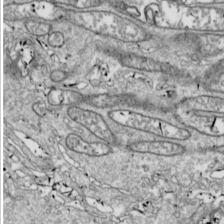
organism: Drosophila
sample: Cell division; meiosis; drosophila spermatocytes